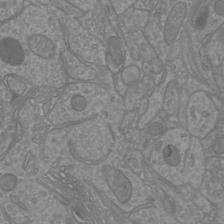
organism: Mouse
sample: Cortical neurons